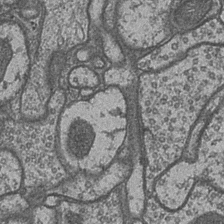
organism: Drosophila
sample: Optic medulla